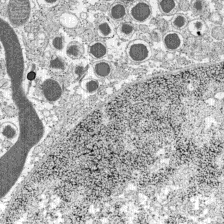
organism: C57BL Mouse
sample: Pancreatic islet